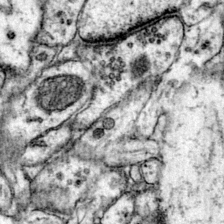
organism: Mouse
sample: Primary visual cortex